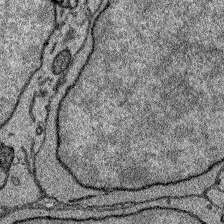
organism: Zebrafish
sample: Larval olfactory bulb